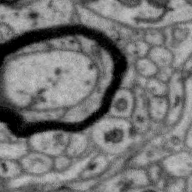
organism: Zebra finch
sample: Brain